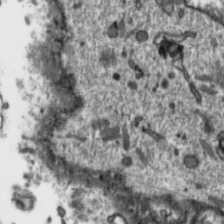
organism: Toxoplasma gondii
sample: Parasites in a vacuole inside a host cell